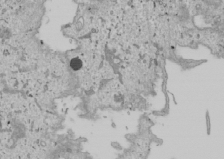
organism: Human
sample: Mitochondria in U2OS cells